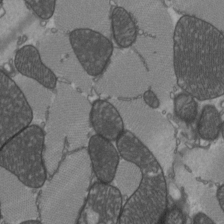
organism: C57BL Mouse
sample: Heart